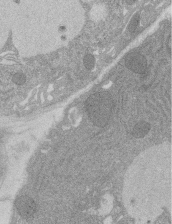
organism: Rat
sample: Salivary granule